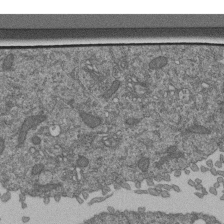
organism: Human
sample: Retinal organoid Rod and Cone cells